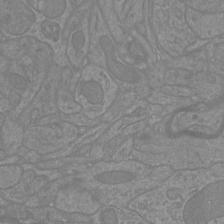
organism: Mouse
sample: Cortical neurons